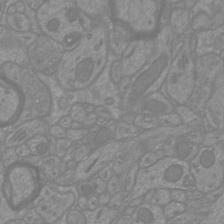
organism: Mouse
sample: Cortical neurons